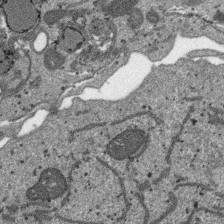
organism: Human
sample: Lung epithelial cells infected with SARS-CoV-2